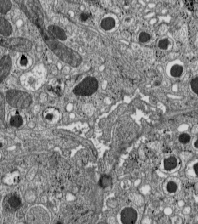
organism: C57BL Mouse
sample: Pancreatic islet